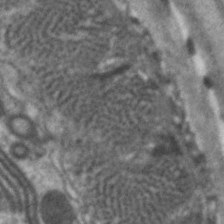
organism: C. elegans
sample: Pharynx